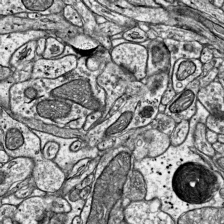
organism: Mouse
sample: Visual Cortex